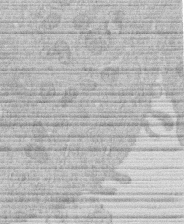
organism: Human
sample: Macrophage cells